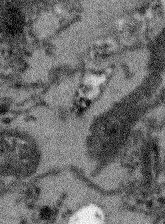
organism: Arabidopsis thaliana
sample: Root tip